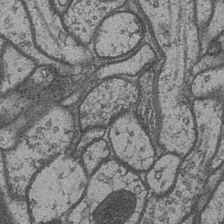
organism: Drosophila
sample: Optic medulla